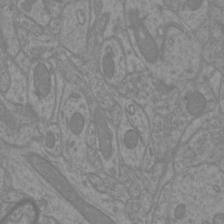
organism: Mouse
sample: Cortical neurons